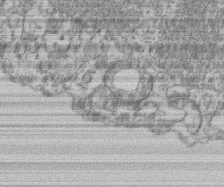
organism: Mouse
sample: T cell stromal cell synapse